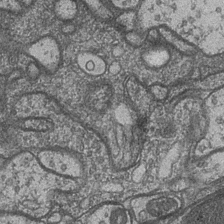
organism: Drosophila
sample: Optic medulla